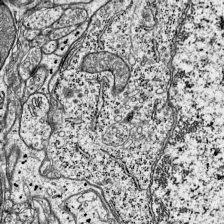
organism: Mouse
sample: Visual Cortex